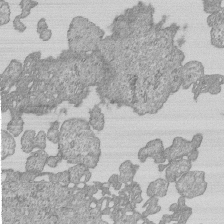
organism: Human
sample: MDA-MB-231 cells